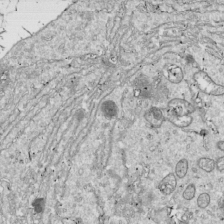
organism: Drosophila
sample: Cell division; meiosis; drosophila spermatocytes